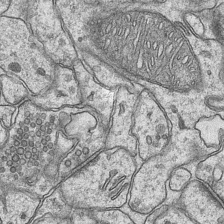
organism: Mouse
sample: CA1 Hippocampus